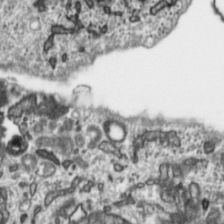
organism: Toxoplasma gondii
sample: Parasites in a vacuole inside a host cell